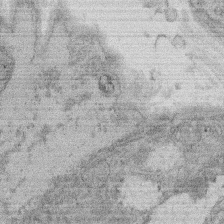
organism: Rat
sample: Salivary granule